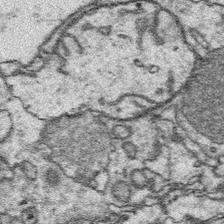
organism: Platynereis dumerilii